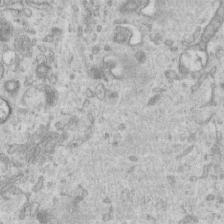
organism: Mouse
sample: Centriole in ependymal cells